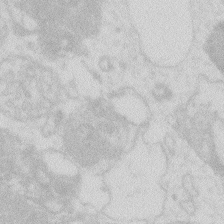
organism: Zebrafish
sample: Macrophage